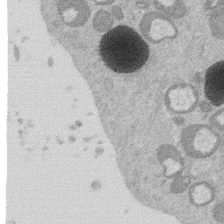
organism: Mouse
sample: Dividing mouse embryo 1 cell stage